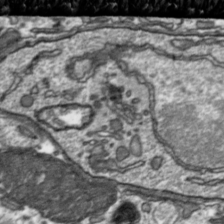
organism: Toxoplasma gondii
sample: Parasites in a vacuole inside a host cell